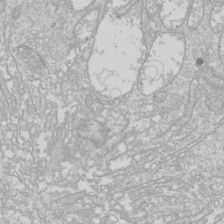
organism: Drosophila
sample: Cell division; meiosis; drosophila spermatocytes